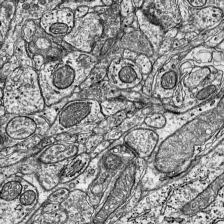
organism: Mouse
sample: Visual Cortex